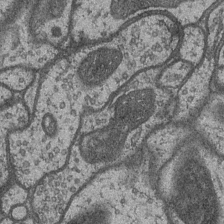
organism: Drosophila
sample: Optic medulla